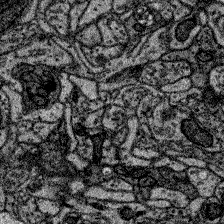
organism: Zebrafish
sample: Larval olfactory bulb